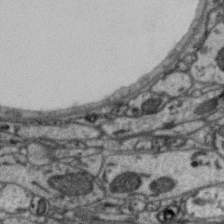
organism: Zebra finch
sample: Brain